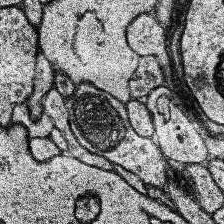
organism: Human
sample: Temporal Lobe